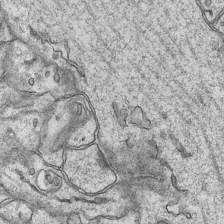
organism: Mouse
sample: CA1 Hippocampus